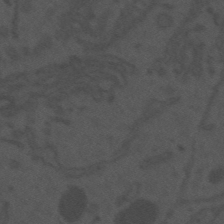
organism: Mouse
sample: Suprachiasmatic nucleus